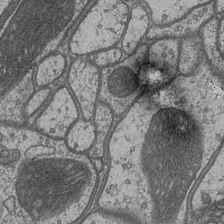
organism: Drosophila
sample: Optic medulla